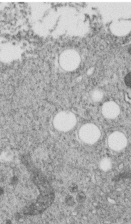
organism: C. elegans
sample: C. elegans embryo early stage